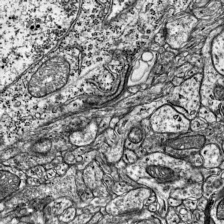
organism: Mouse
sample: Visual Cortex